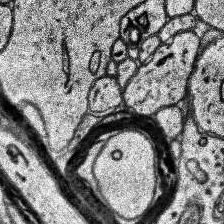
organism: Human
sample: Temporal Lobe